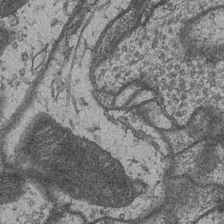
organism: Drosophila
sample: Optic medulla